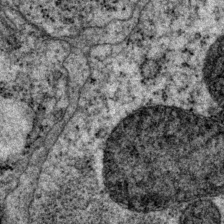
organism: P. pacificus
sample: Pharynx